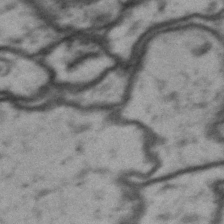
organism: Drosophila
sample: Brain